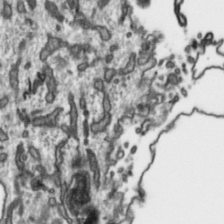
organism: Toxoplasma gondii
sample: Parasites in a vacuole inside a host cell